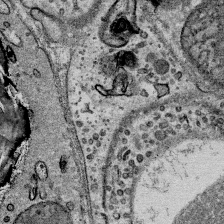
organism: Mouse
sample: Mouse Salivary gland